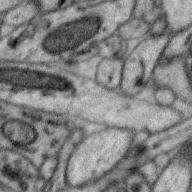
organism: Zebra finch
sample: Brain